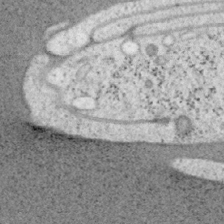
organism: Mouse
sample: OT-I killer T cells with ID8 ovarian cancer cells